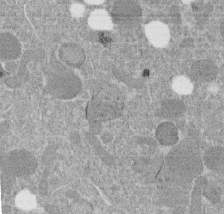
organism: C. elegans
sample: C. elegans embryo early stage